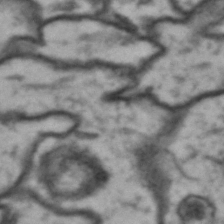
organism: Drosophila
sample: Brain